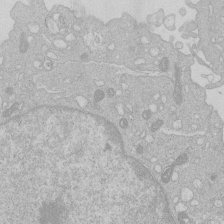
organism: Human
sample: Macrophage cells